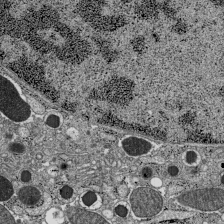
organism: C57BL Mouse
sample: Pancreatic islet